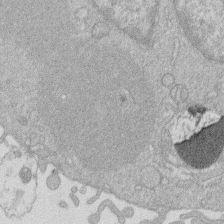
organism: Human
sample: Macrophage cells